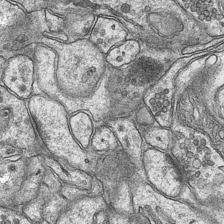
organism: Mouse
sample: CA1 Hippocampus